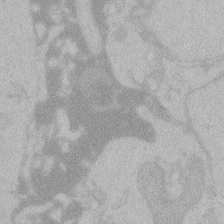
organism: Zebrafish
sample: Macrophage infected with Toxoplasma gondii